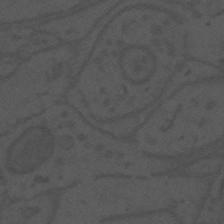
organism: Mouse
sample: Suprachiasmatic nucleus